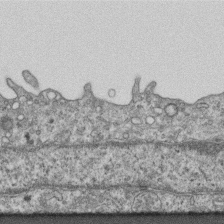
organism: Mouse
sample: Centriole in ependymal cells